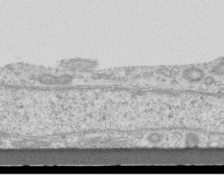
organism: Mouse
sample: Centriole in ependymal cells